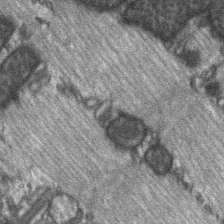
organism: C57BL Mouse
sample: Soleus